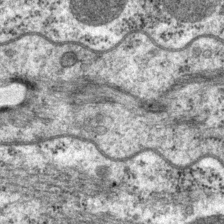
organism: P. pacificus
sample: Pharynx